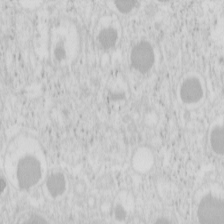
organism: Mouse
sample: Pancreas